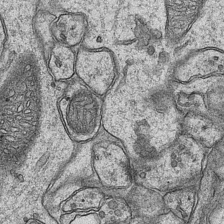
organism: Mouse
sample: CA1 Hippocampus